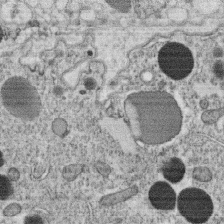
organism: C. elegans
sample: C. elegans oocyte; sperm cells